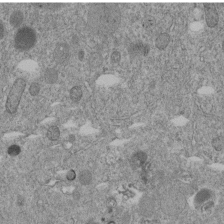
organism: C. elegans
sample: C. elegans embryo early stage